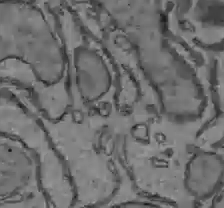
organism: C57BL Mouse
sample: Liver